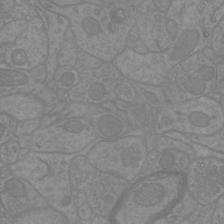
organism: Mouse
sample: Cortical neurons